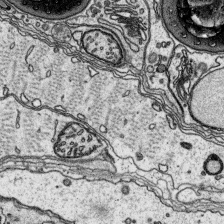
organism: Platynereis dumerilii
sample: Parapodia